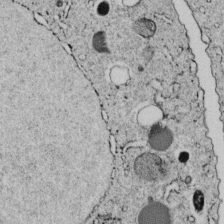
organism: C. elegans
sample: C. elegans embryo early stage